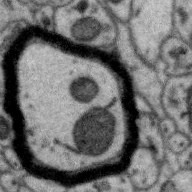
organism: Zebra finch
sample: Brain